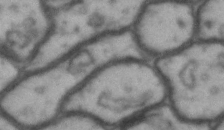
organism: Drosophila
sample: Brain